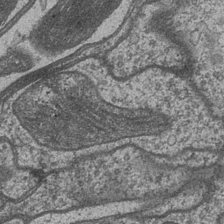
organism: Drosophila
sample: Optic medulla